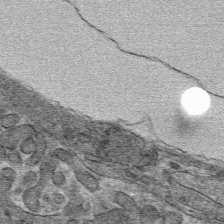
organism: Mouse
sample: Mouse hepatocytes